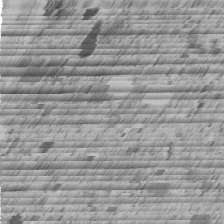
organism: C. elegans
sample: C. elegans embryo early stage